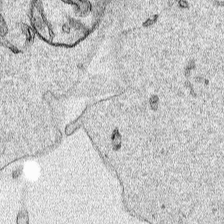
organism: Human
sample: Mitochondria in HCT116 cells